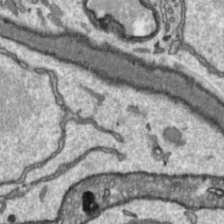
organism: Toxoplasma gondii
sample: Parasites in a vacuole inside a host cell